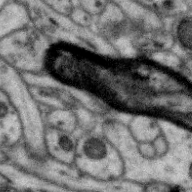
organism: Zebra finch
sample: Brain